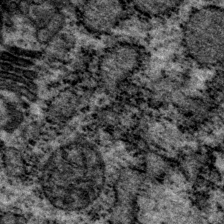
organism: P. pacificus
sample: Pharynx